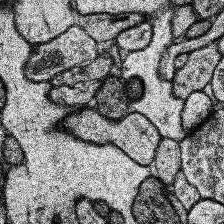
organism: Human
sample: Temporal Lobe